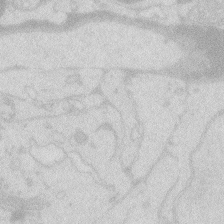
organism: Zebrafish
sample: Macrophage